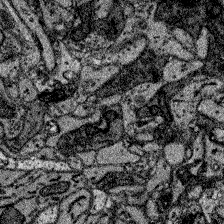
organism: Zebrafish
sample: Larval olfactory bulb